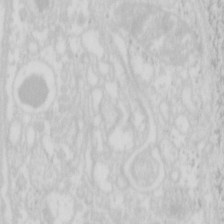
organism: Mouse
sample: Pancreas